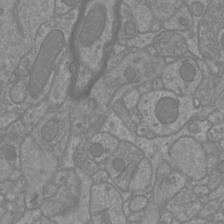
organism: Mouse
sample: Cortical neurons